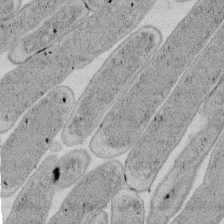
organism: E. coli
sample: Bacterial nucleoid